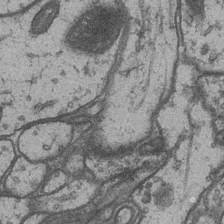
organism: Drosophila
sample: Optic medulla